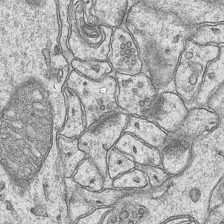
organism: Mouse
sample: CA1 Hippocampus